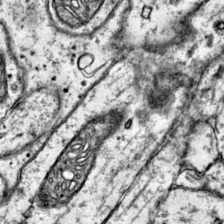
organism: Mouse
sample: Primary visual cortex